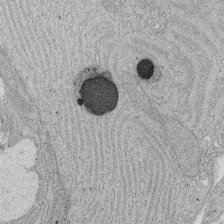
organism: Rat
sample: Salivary granule